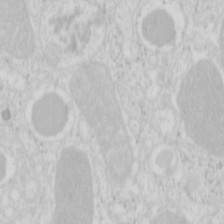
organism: Mouse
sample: Pancreas